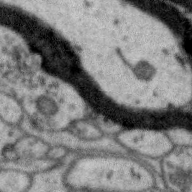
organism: Zebra finch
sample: Brain